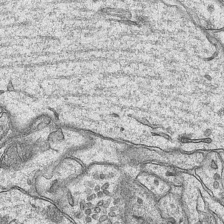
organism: Mouse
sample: CA1 Hippocampus